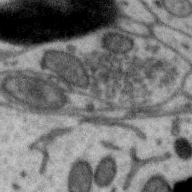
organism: Zebra finch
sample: Brain